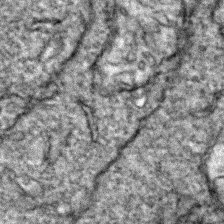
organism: Zebrafish